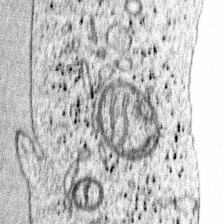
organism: Human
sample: HeLa cells